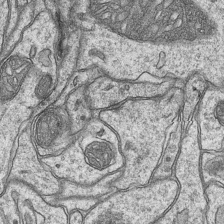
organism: Mouse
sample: CA1 Hippocampus